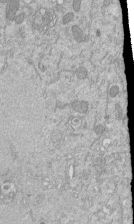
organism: Mouse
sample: ED-1 cell nuclei; centrioles